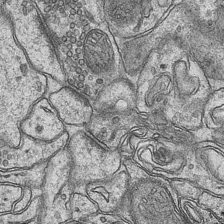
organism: Mouse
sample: CA1 Hippocampus